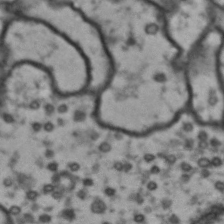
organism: Drosophila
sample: Brain